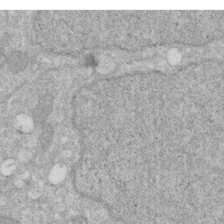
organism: Human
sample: HIV infected U937 cells